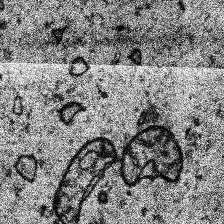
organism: Human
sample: Temporal Lobe